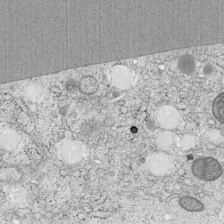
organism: African green monkey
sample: COS-7 cells